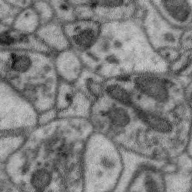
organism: Zebra finch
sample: Brain